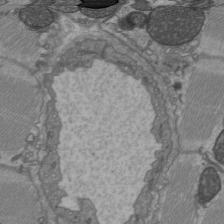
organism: C57BL Mouse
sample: Heart